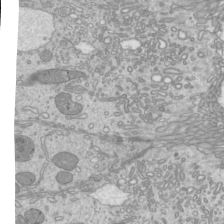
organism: Mouse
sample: Cilia; mouse epididymis